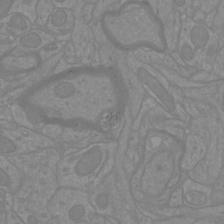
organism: Mouse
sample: Cortical neurons